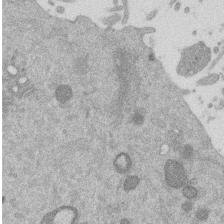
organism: Mouse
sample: Dividing mouse embryo 1 cell stage